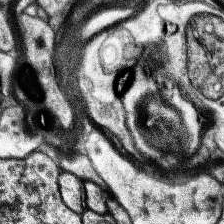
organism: Human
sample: Temporal Lobe